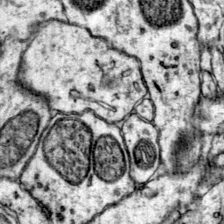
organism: Mouse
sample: Primary visual cortex